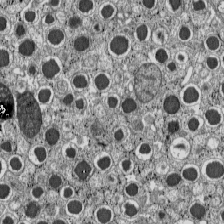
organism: C57BL Mouse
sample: Pancreatic islet